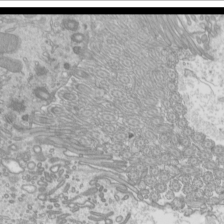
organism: Mouse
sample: Cilia; mouse epididymis